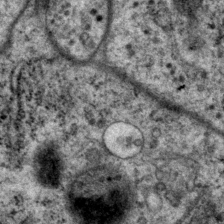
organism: P. pacificus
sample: Pharynx